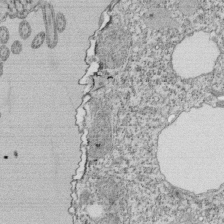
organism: Tetrahymena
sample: Cilia in tetrahymena